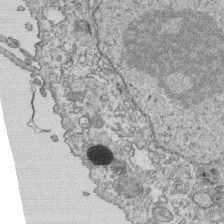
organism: Human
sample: HeLa cell HIV synapse